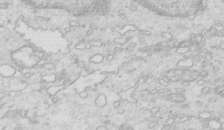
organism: Mouse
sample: Multiciliated cells